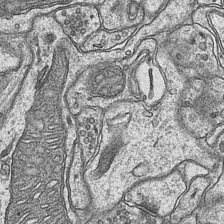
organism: Mouse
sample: CA1 Hippocampus